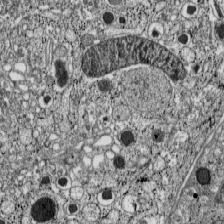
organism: C57BL Mouse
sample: Pancreatic islet